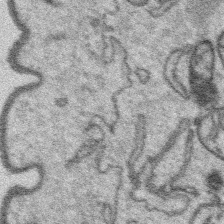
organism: Platynereis dumerilii